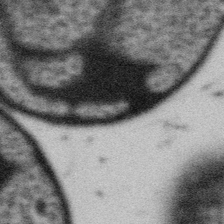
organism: Gemmata obscuriglobus